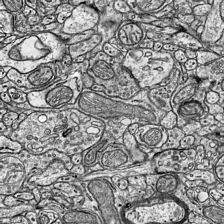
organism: Mouse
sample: Visual Cortex